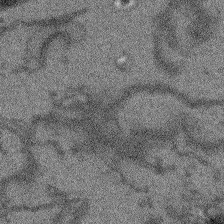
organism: Arabidopsis thaliana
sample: Root tip